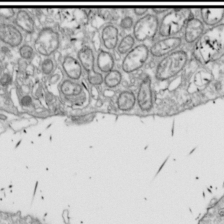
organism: Drosophila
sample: Cell division; meiosis; drosophila spermatocytes